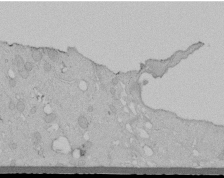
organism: Human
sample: Melanocyte Keratinocyte synapse skin construct